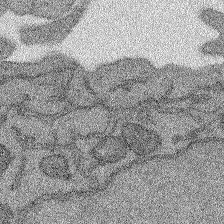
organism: Human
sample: HeLa cells